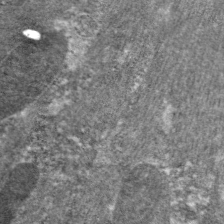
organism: C. elegans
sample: Pharynx